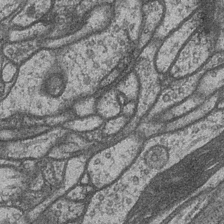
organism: Drosophila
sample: Optic medulla